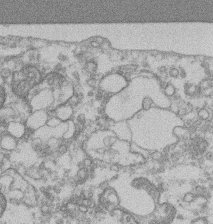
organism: Mouse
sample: T cell stromal cell synapse